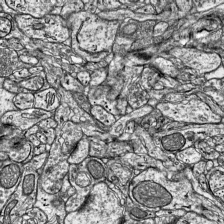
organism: Mouse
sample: Visual Cortex